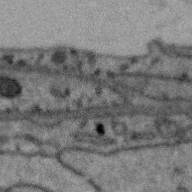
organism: Zebra finch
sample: Brain